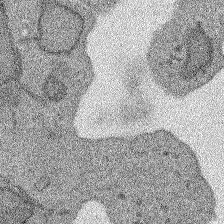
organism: Human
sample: HeLa cells